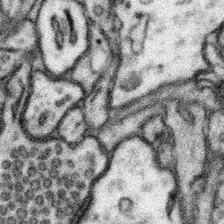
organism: Mouse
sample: Somatosensory cortex neuropil